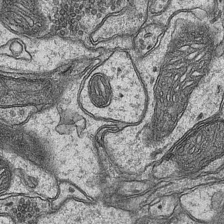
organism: Mouse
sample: CA1 Hippocampus